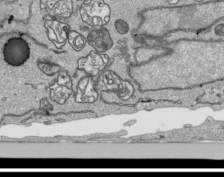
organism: Human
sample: Mitochondria in HCT116 cells